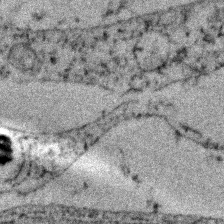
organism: Zebrafish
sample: Zebrafish embryo